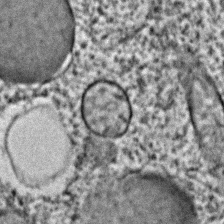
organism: C. elegans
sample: C. elegans embryo